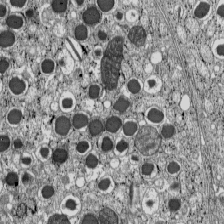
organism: C57BL Mouse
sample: Pancreatic islet